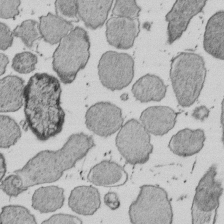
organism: E. coli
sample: Bacterial nucleoid